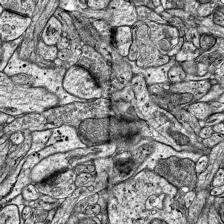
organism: Mouse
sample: Visual Cortex